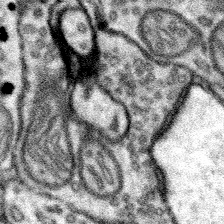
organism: Mouse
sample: Somatosensory cortex neuropil